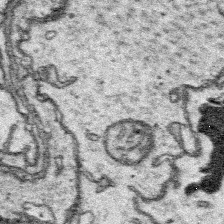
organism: Platynereis dumerilii